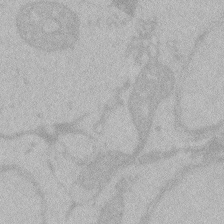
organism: Zebrafish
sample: Macrophage infected with Toxoplasma gondii